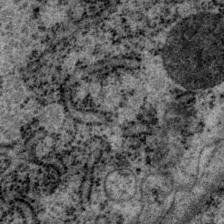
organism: P. pacificus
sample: Pharynx